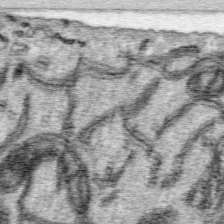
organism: Human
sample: HeLa cells